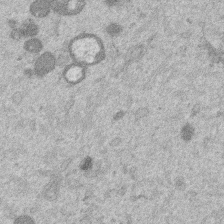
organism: Mouse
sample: Dividing mouse embryo 1 cell stage